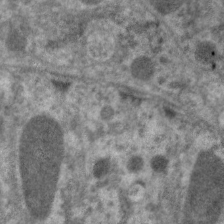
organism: C. elegans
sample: Pharynx